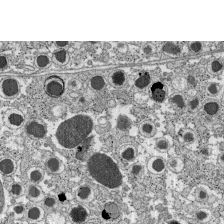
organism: C57BL Mouse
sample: Pancreatic islet